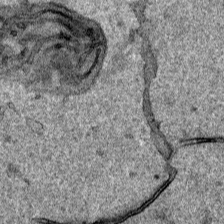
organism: Human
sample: Mitochondria in HCT116 cells